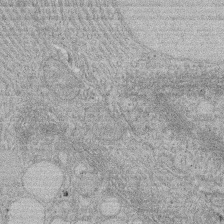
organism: Rat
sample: Salivary granule